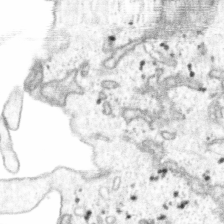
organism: Human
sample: HeLa cells